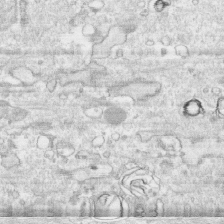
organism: Human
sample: CRL-1474